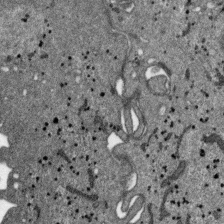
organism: Human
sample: Lung epithelial cells, uninfected (mock) control